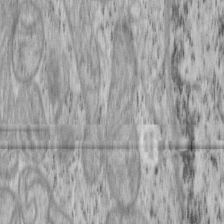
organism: Human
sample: HeLa cells